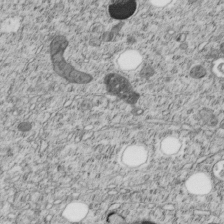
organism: C. elegans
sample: C. elegans embryo early stage